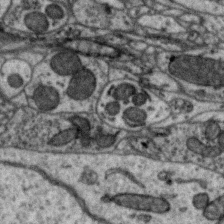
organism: Zebra finch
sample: Brain